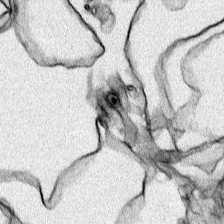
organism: Human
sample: Mitochondria in HCT116 cells